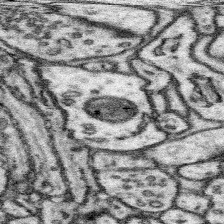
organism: Mouse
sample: Somatosensory cortex neuropil